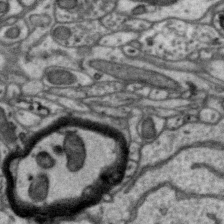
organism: Zebra finch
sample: Brain